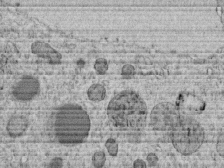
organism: C. elegans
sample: C. elegans embryo early stage